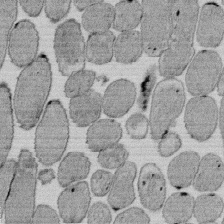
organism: E. coli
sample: Bacterial nucleoid